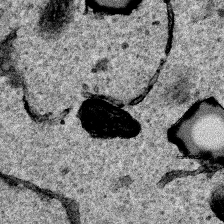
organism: Human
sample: Mitochondria in HCT116 cells